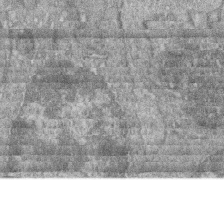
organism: Zebrafish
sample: Cilia; retinal pigment epithelium